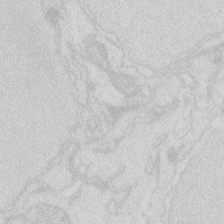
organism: Zebrafish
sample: Macrophage